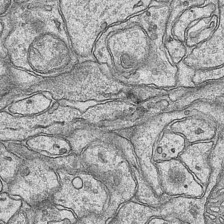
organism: Mouse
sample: CA1 Hippocampus